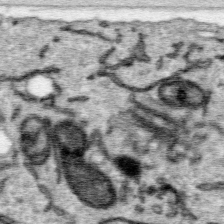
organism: Human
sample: HeLa cells